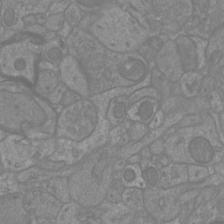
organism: Mouse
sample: Cortical neurons